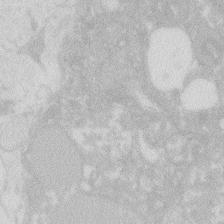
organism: Zebrafish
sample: Macrophage